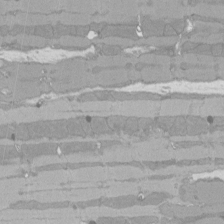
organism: Rat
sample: Left ventricle